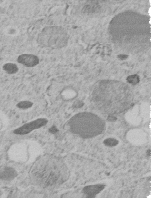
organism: C. elegans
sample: C. elegans embryo early stage